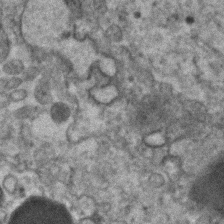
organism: Human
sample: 1205lu cells